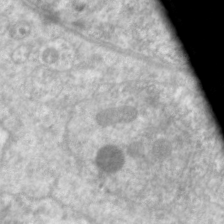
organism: C. elegans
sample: Pharynx